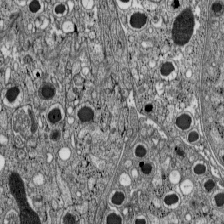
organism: C57BL Mouse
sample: Pancreatic islet